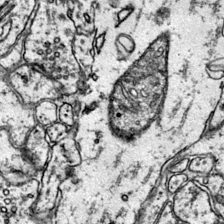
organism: Mouse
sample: Primary visual cortex